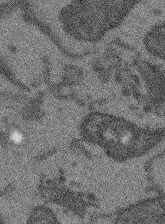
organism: Arabidopsis thaliana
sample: Root tip